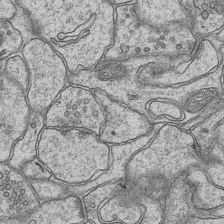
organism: Mouse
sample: CA1 Hippocampus